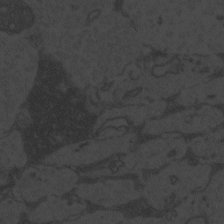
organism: Zebrafish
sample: Macrophage infected with Toxoplasma gondii